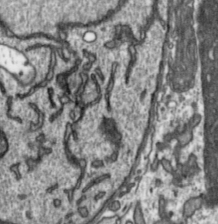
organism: Toxoplasma gondii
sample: Parasites in a vacuole inside a host cell